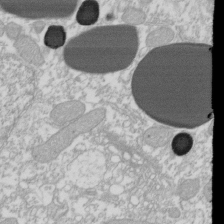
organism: Xenopus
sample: Cilia; centrioles in frog embryo cells